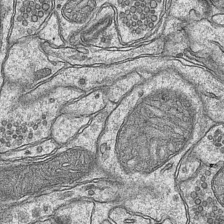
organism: Mouse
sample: CA1 Hippocampus